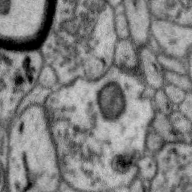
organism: Zebra finch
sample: Brain